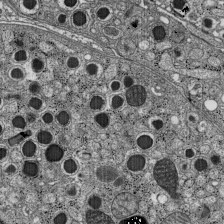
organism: C57BL Mouse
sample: Pancreatic islet